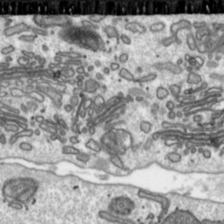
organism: Toxoplasma gondii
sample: Parasites in a vacuole inside a host cell